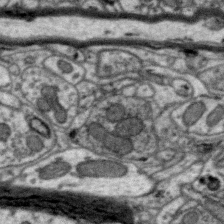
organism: Zebra finch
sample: Brain